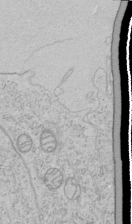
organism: Human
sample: Mitochondria in HCT116 cells